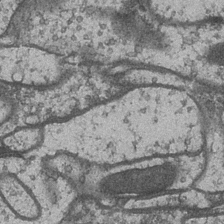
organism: Drosophila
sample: Optic medulla